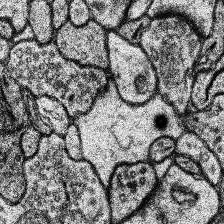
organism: Human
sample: Temporal Lobe